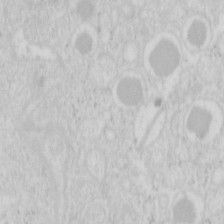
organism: Mouse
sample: Pancreas